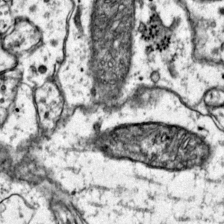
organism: Mouse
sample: Primary visual cortex